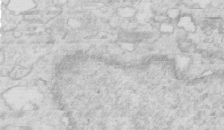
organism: Mouse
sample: Multiciliated cells